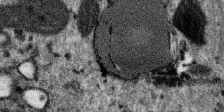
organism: Human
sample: Lung epithelial cells infected with SARS-CoV-2